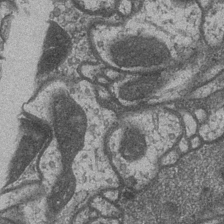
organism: Drosophila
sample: Optic medulla